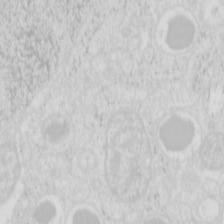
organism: Mouse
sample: Pancreas